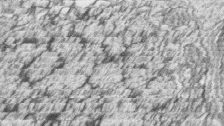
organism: Zebrafish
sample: synaptic ribbons in rod cells and cone cells